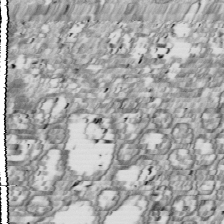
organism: Drosophila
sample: Cell division; meiosis; drosophila spermatocytes